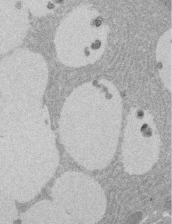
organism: Rat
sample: Salivary granule